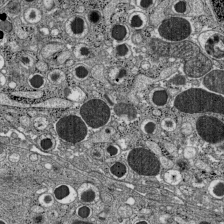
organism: C57BL Mouse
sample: Pancreatic islet